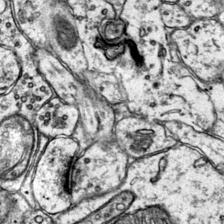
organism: Mouse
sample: Primary visual cortex